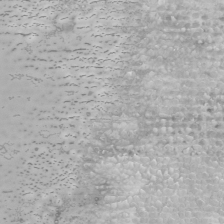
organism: Human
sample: Mitochondria in U2OS cells